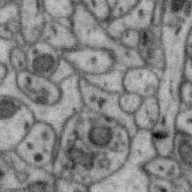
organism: Zebra finch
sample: Brain